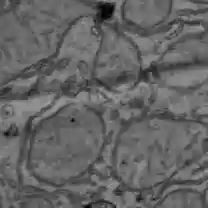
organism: C57BL Mouse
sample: Liver